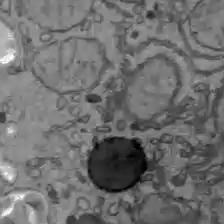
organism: C57BL Mouse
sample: Liver